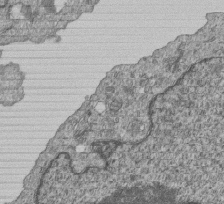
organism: Human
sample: MDA-MB-231 cells